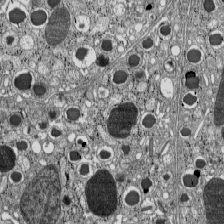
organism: C57BL Mouse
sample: Pancreatic islet